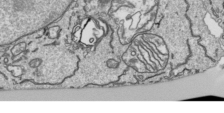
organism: Human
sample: Mitochondria in HCT116 cells